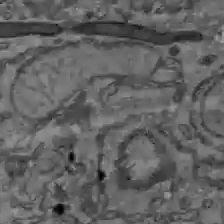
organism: C57BL Mouse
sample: Liver